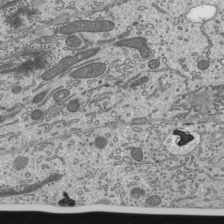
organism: Mouse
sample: Mouse epididymis efferent ductule cilia